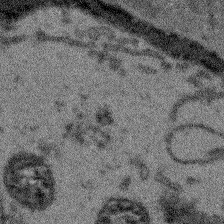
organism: Arabidopsis thaliana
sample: Root tip